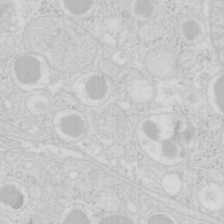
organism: Mouse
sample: Pancreas